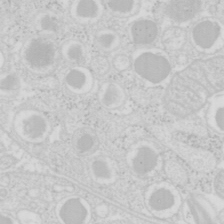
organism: Mouse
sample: Pancreas